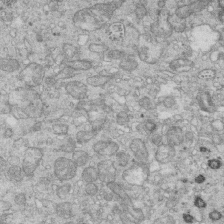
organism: Mouse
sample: Multiciliated cells